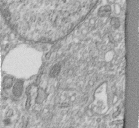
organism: Human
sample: Centriole in fibroblast cells